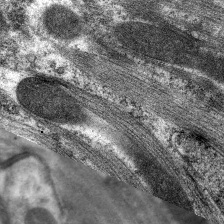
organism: C. elegans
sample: Pharynx